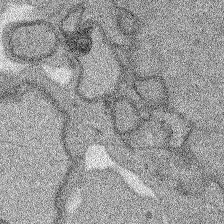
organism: Human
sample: HeLa cells